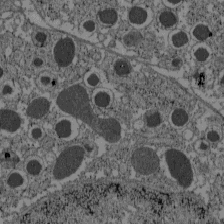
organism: C57BL Mouse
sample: Pancreatic islet